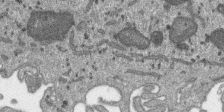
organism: Human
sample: Lung epithelial cells infected with SARS-CoV-2